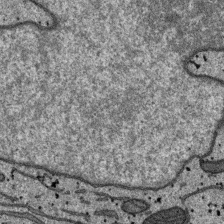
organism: Human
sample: Lung epithelial cells, uninfected (mock) control